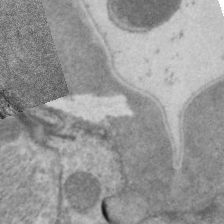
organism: C. elegans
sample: Pharynx